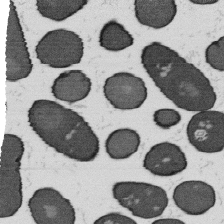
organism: B. subtilis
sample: Bacterial spore